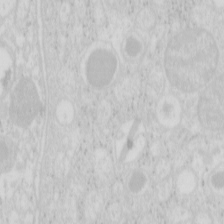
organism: Mouse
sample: Pancreas